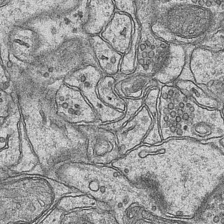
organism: Mouse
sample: CA1 Hippocampus